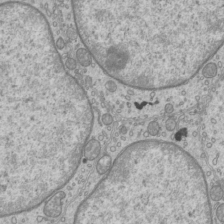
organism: Mouse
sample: Cilia; mouse epididymis